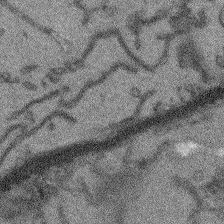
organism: Arabidopsis thaliana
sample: Root tip